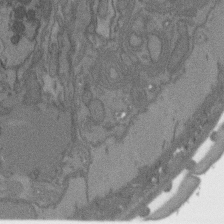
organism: C. elegans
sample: AFD neurons C. elegans